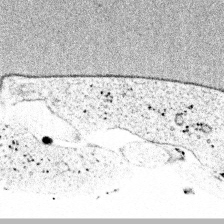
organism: Human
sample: HeLa cells